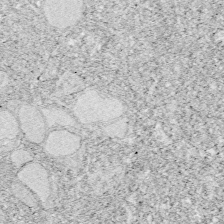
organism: Zebrafish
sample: Whole-Brain